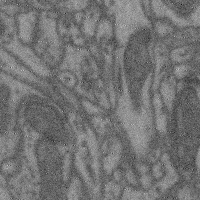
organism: Mouse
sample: Cerebral cortex